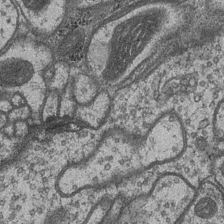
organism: Drosophila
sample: Optic medulla